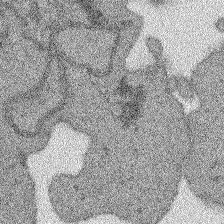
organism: Human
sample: HeLa cells